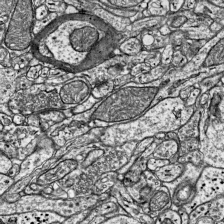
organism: Mouse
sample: Visual Cortex